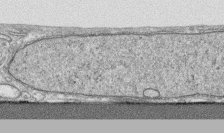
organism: Human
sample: CRL-1474